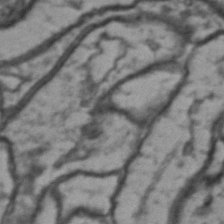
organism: Drosophila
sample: Brain